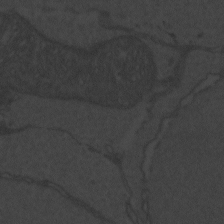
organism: Zebrafish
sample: Macrophage infected with Toxoplasma gondii